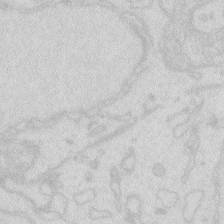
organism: Zebrafish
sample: Macrophage